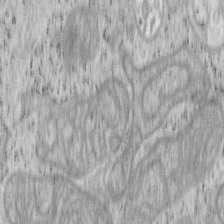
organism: Human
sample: HeLa cells